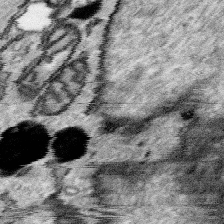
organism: Human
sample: HeLa cells